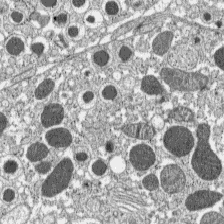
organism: C57BL Mouse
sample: Pancreatic islet